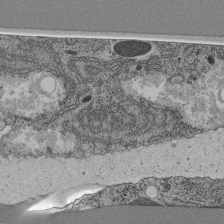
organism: C. elegans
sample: C. elegans pharynx